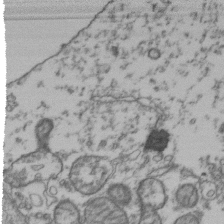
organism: Human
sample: Activated Jurkat CD4+ T cells